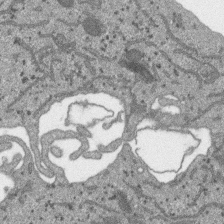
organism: Human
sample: Lung epithelial cells infected with SARS-CoV-2